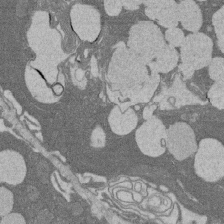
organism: Rat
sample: Salivary granule